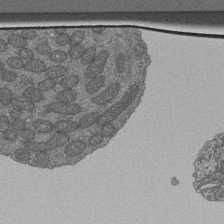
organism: Human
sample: Retinal organoid Rod and Cone cells